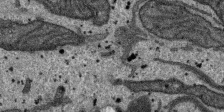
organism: Human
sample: Lung epithelial cells, uninfected (mock) control